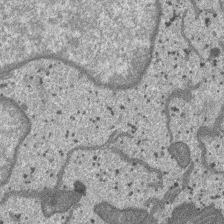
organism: Human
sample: Lung epithelial cells infected with SARS-CoV-2